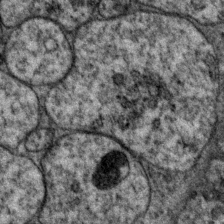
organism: P. pacificus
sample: Pharynx